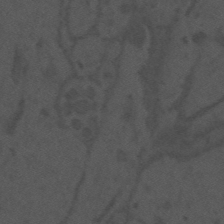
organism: Mouse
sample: Suprachiasmatic nucleus